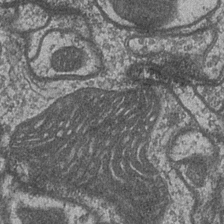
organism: Drosophila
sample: Optic medulla